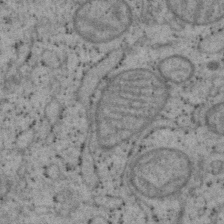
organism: Human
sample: HeLa cells